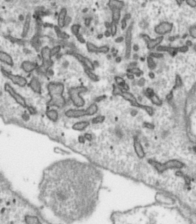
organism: Toxoplasma gondii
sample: Parasites in a vacuole inside a host cell